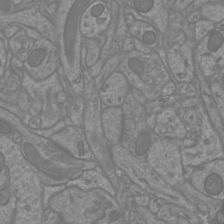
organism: Mouse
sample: Cortical neurons